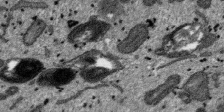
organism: Human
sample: Lung epithelial cells, uninfected (mock) control